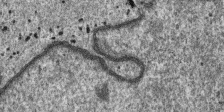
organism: Human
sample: Lung epithelial cells infected with SARS-CoV-2